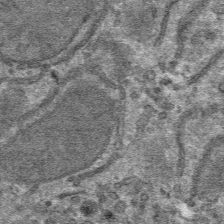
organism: Mouse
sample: Mouse hepatocytes